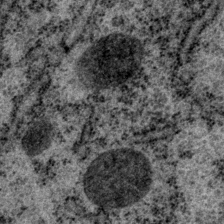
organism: P. pacificus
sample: Pharynx